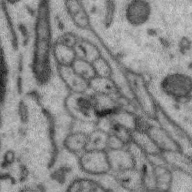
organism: Zebra finch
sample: Brain